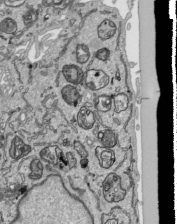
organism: Human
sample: Mitochondria in HCT116 cells